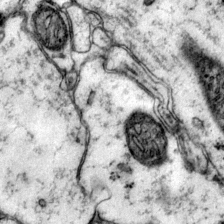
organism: Mouse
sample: Primary visual cortex